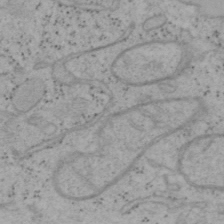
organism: Human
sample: HeLa cells